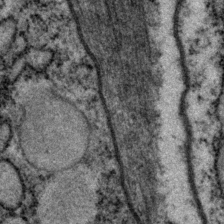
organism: P. pacificus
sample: Pharynx